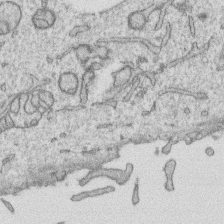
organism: Human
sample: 1205lu cells